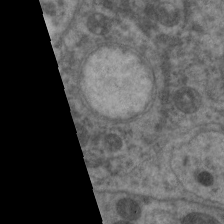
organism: C. elegans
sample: Pharynx